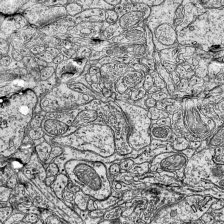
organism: Mouse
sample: Visual Cortex